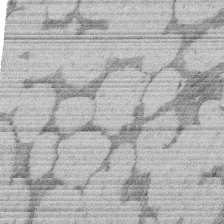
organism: Rat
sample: Salivary granule